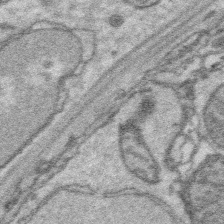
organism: Platynereis dumerilii